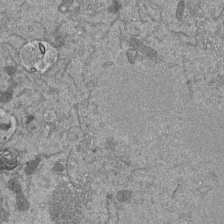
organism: Mouse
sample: ED-1 cell nuclei; centrioles